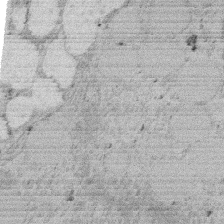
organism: Rat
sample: Salivary granule